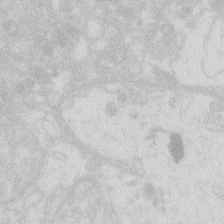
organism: Zebrafish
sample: Macrophage